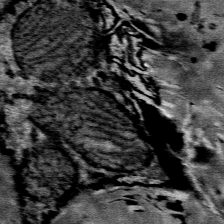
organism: Mouse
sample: Mouse Salivary gland